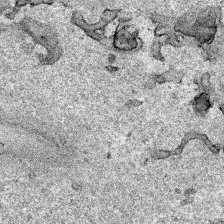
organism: Human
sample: Mitochondria in HCT116 cells